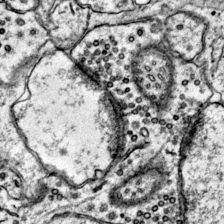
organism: Mouse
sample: Primary visual cortex